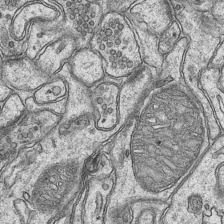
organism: Mouse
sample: CA1 Hippocampus